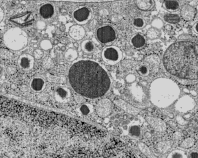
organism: C57BL Mouse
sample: Pancreatic islet